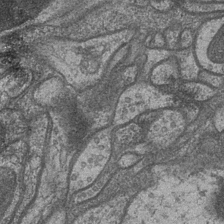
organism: Drosophila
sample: Optic medulla